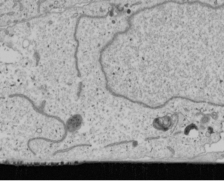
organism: Human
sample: Mitochondria in U2OS cells